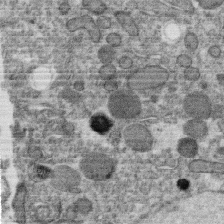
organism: C. elegans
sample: C. elegans oocyte; sperm cells